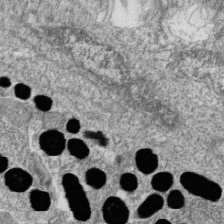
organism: Zebrafish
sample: Cilia; retinal pigment epithelium